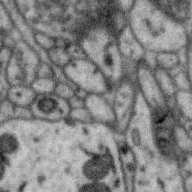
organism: Zebra finch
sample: Brain